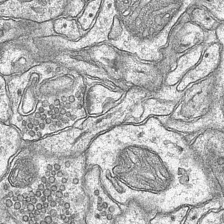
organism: Mouse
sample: CA1 Hippocampus